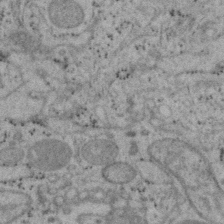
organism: Human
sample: HeLa cells